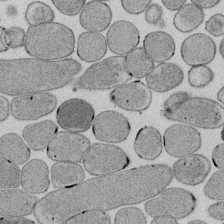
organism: E. coli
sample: Bacterial nucleoid